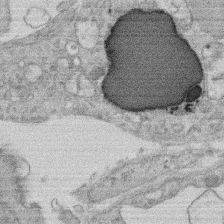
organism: Rat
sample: Salivary granule